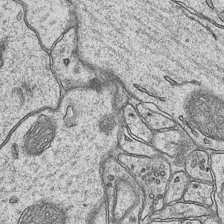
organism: Mouse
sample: CA1 Hippocampus